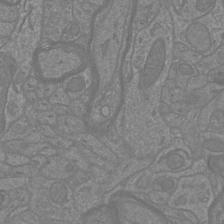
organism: Mouse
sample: Cortical neurons